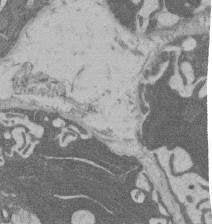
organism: Rat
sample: Salivary granule